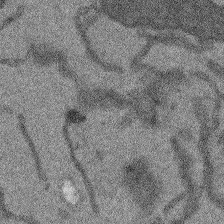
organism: Arabidopsis thaliana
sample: Root tip